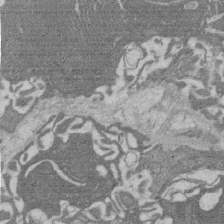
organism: Rat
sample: Salivary granule